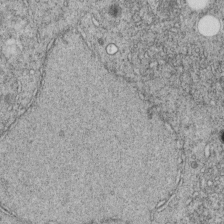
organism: C. elegans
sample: C. elegans embryo early stage